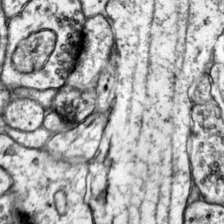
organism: Mouse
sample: Primary visual cortex